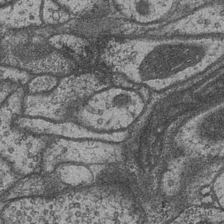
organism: Drosophila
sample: Optic medulla